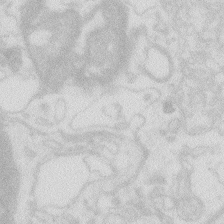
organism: Zebrafish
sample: Macrophage